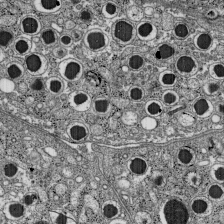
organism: C57BL Mouse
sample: Pancreatic islet